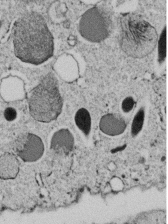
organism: C. elegans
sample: C. elegans embryo early stage